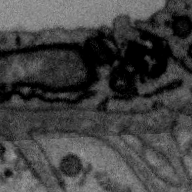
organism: Zebra finch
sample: Brain